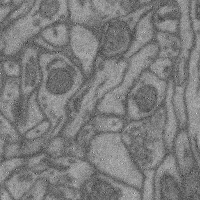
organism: Mouse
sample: Cerebral cortex